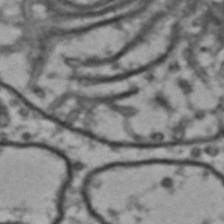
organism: Drosophila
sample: Brain